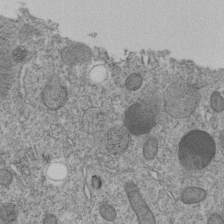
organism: C. elegans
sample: C. elegans embryo early stage